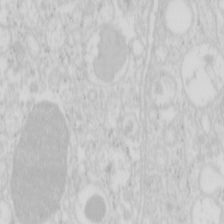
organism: Mouse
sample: Pancreas